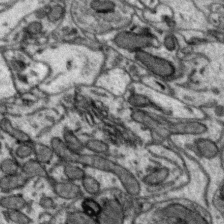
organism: Zebra finch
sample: Brain